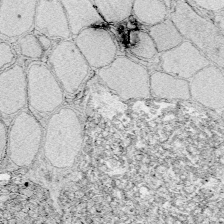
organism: Zebrafish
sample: Whole-Brain